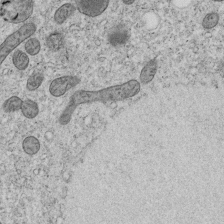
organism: C. elegans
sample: C. elegans embryo early stage